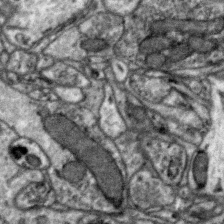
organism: Zebra finch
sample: Brain